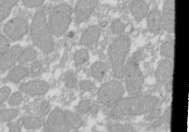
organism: Xenopus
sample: Cilia; centrioles in frog embryo cells